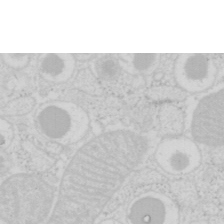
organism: Mouse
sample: Pancreas